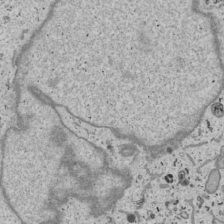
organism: Human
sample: Mitochondria in U2OS cells